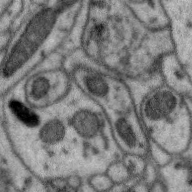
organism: Zebra finch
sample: Brain